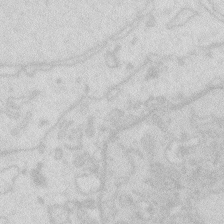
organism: Zebrafish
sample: Macrophage